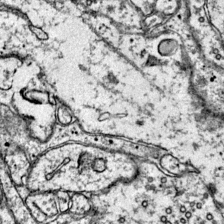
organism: Mouse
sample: Primary visual cortex